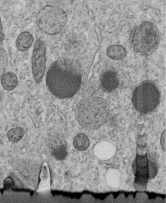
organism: C. elegans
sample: C. elegans embryo early stage